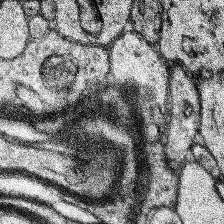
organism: Human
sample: Temporal Lobe